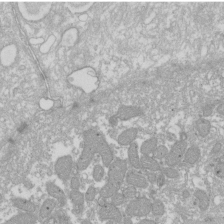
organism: Xenopus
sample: Cilia; centrioles in frog embryo cells